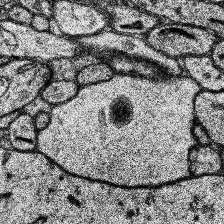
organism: Human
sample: Temporal Lobe